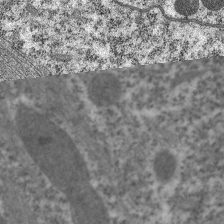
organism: C. elegans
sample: Pharynx